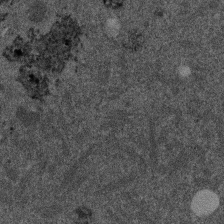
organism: Mouse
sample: Dividing mouse embryo 1 cell stage